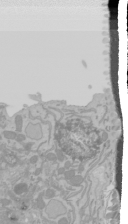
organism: Mouse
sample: Cancer cell death in ED-1 cells